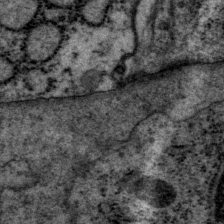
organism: P. pacificus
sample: Pharynx